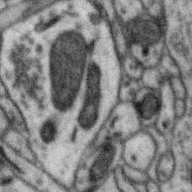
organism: Zebra finch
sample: Brain